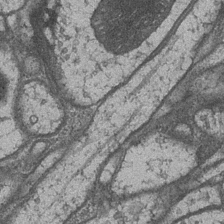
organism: Drosophila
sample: Optic medulla